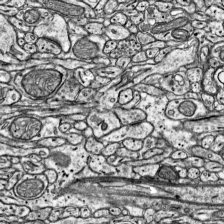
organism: Mouse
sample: Visual Cortex